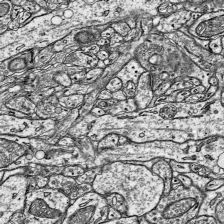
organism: Mouse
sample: Visual Cortex